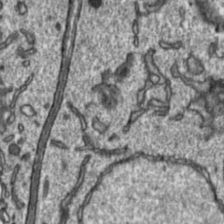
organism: Toxoplasma gondii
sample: Parasites in a vacuole inside a host cell